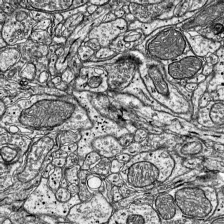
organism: Mouse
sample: Visual Cortex